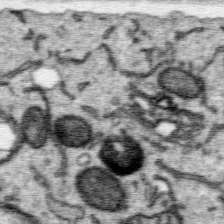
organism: Human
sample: HeLa cells